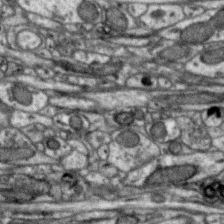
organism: Zebra finch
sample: Brain